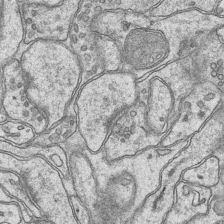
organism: Mouse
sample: CA1 Hippocampus